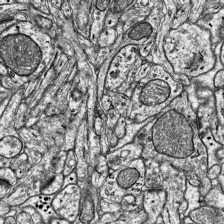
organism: Mouse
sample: Visual Cortex